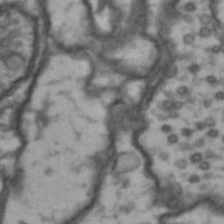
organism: Drosophila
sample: Brain